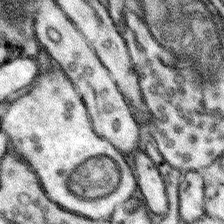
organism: Mouse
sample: Somatosensory cortex neuropil